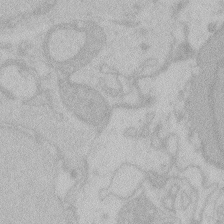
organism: Zebrafish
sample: Macrophage infected with Toxoplasma gondii